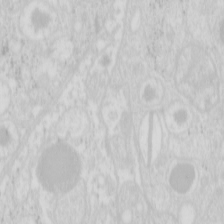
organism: Mouse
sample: Pancreas